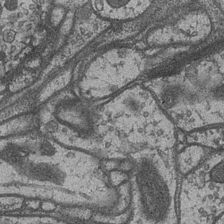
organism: Drosophila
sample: Optic medulla